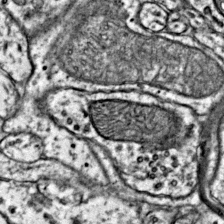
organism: Mouse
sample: Primary visual cortex